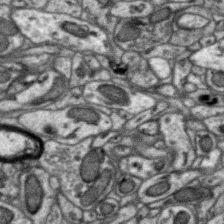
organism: Zebra finch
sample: Brain